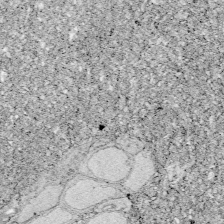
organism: Zebrafish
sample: Whole-Brain